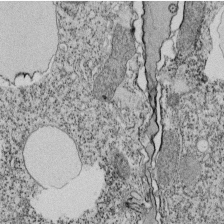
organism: Tetrahymena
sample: Cilia in tetrahymena